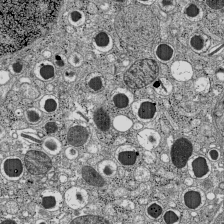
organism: C57BL Mouse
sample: Pancreatic islet